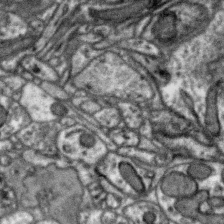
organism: Zebra finch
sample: Brain